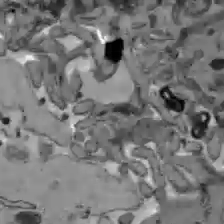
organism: C57BL Mouse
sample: Liver